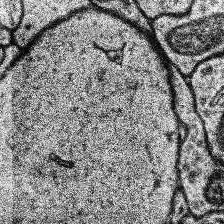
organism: Human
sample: Temporal Lobe